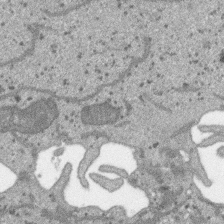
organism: Human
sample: Lung epithelial cells infected with SARS-CoV-2